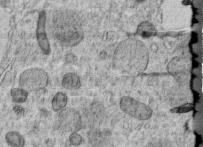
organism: C. elegans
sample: C. elegans embryo early stage